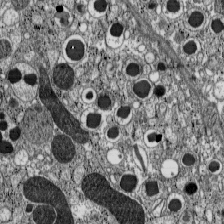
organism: C57BL Mouse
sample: Pancreatic islet